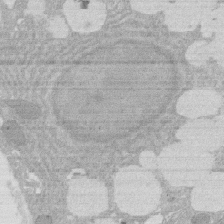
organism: Rat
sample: Salivary granule